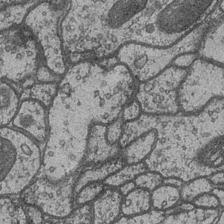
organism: Drosophila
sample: Optic medulla